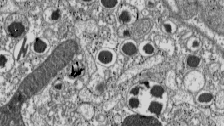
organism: C57BL Mouse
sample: Pancreatic islet